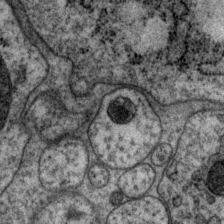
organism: P. pacificus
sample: Pharynx